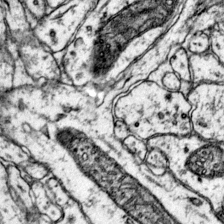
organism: Mouse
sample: Primary visual cortex